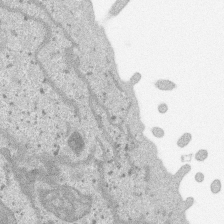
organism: Human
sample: Lung epithelial cells infected with SARS-CoV-2